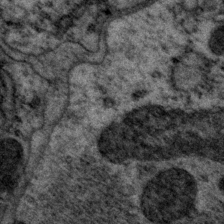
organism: P. pacificus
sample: Pharynx